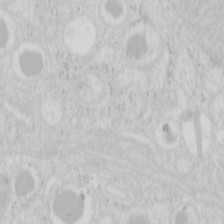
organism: Mouse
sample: Pancreas